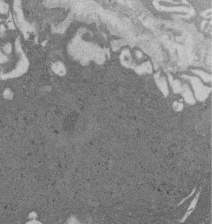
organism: Rat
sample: Salivary granule